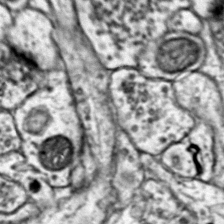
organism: Mouse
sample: Primary visual cortex